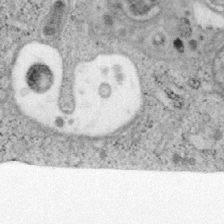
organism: Mouse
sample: OT-I killer T cells with ID8 ovarian cancer cells